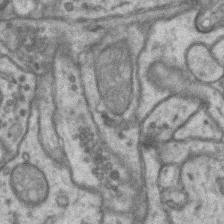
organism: Mouse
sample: CA1 Hippocampus